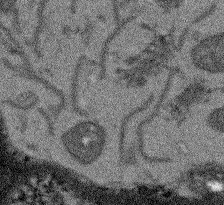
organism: Arabidopsis thaliana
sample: Root tip